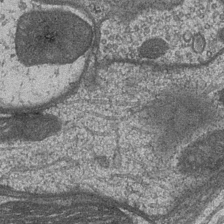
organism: Drosophila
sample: Optic medulla